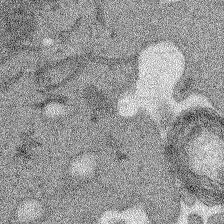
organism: Human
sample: HeLa cells